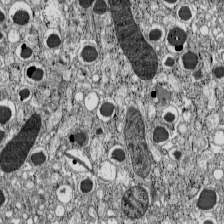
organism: C57BL Mouse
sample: Pancreatic islet